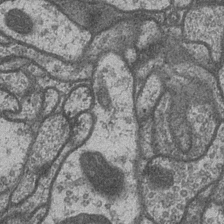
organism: Drosophila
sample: Optic medulla